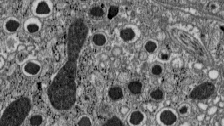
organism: C57BL Mouse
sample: Pancreatic islet